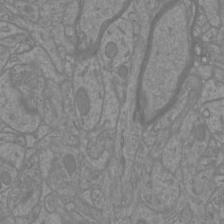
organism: Mouse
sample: Cortical neurons